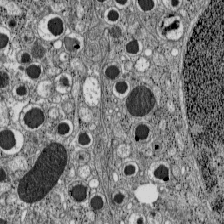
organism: C57BL Mouse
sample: Pancreatic islet